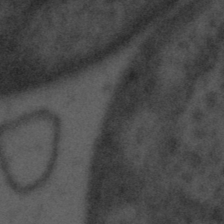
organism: Tuwongella immobilis